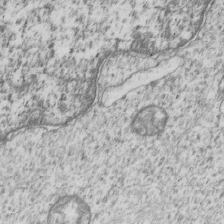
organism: Human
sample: MDA-MB-231 cells